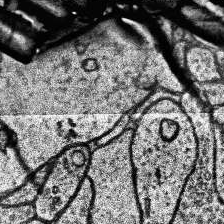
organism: Human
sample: Temporal Lobe